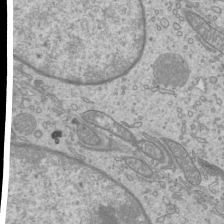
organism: Mouse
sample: Cilia; mouse epididymis